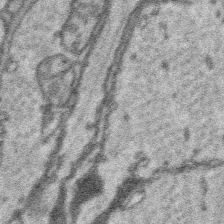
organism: Platynereis dumerilii